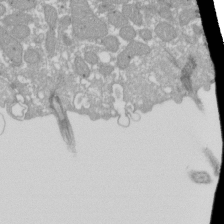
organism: Xenopus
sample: Cilia; centrioles in frog embryo cells